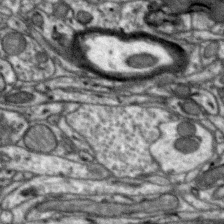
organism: Zebra finch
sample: Brain